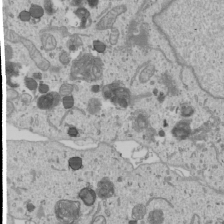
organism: Human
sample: Mitochondria in U2OS cells